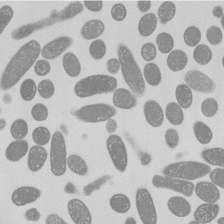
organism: E. coli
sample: Bacterial nucleoid